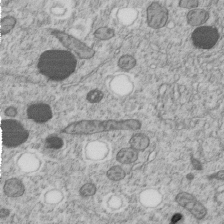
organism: C. elegans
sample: C. elegans embryo early stage